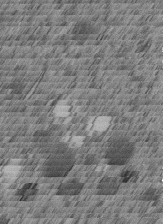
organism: C. elegans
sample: C. elegans embryo early stage